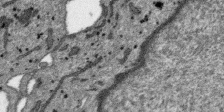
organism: Human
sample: Lung epithelial cells, uninfected (mock) control